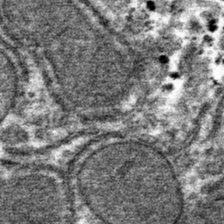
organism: Mouse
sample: Mouse hepatocytes